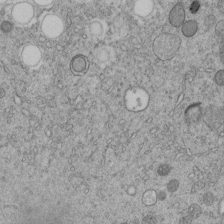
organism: C. elegans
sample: C. elegans embryo early stage